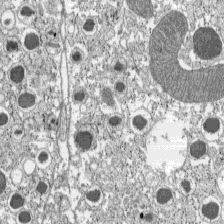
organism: C57BL Mouse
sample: Pancreatic islet